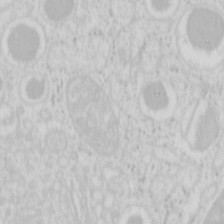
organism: Mouse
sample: Pancreas